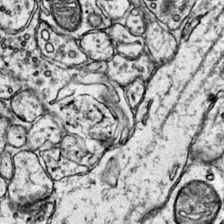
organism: Mouse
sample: Primary visual cortex